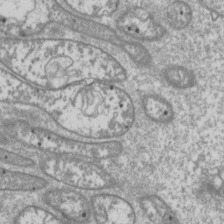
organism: Drosophila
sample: Cell division; meiosis; drosophila spermatocytes